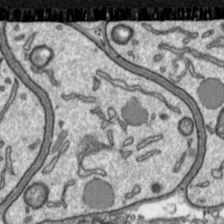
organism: Toxoplasma gondii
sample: Parasites in a vacuole inside a host cell